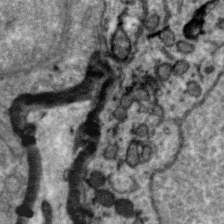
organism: Zebra finch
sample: Brain